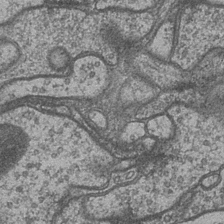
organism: Drosophila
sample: Optic medulla